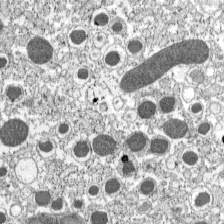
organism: C57BL Mouse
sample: Pancreatic islet